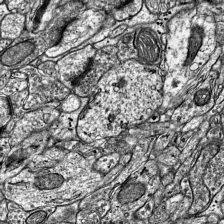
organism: Mouse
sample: Visual Cortex